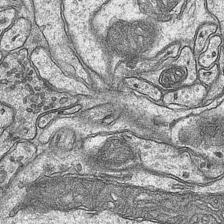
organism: Mouse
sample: CA1 Hippocampus